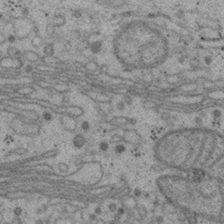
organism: Human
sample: HeLa cells